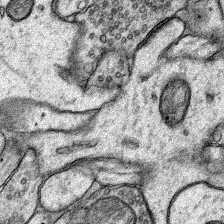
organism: Rat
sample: Hippocampus